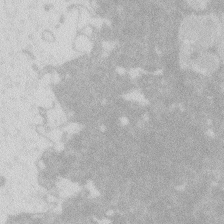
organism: Zebrafish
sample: Macrophage